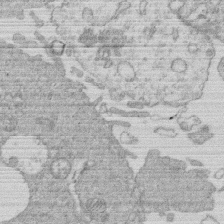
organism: Human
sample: Macrophage cells